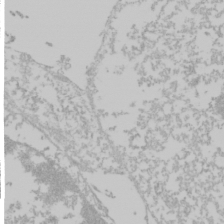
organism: Mouse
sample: Cancer cell death in ED-1 cells